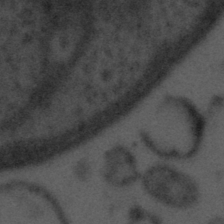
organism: Tuwongella immobilis